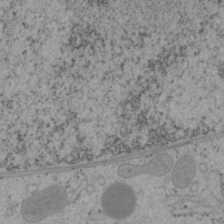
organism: Human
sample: HeLa cells